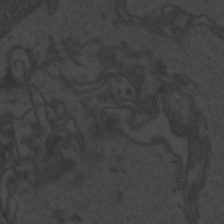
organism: Zebrafish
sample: Macrophage infected with Toxoplasma gondii